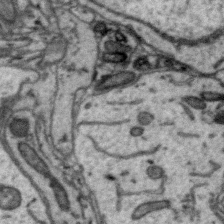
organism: Zebra finch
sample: Brain